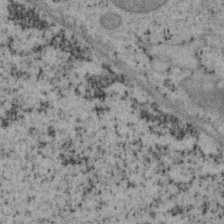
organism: Human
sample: HeLa cells